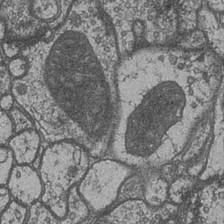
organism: Drosophila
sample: Optic medulla